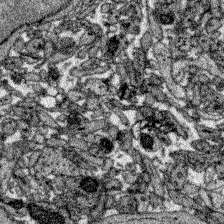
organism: Zebrafish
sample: Larval olfactory bulb